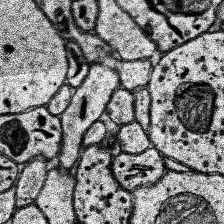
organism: Human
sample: Temporal Lobe